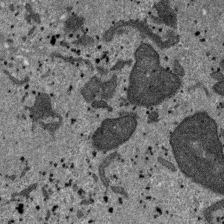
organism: Human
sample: Lung epithelial cells, uninfected (mock) control